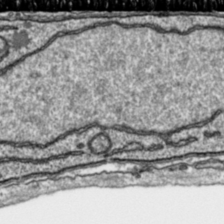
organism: Toxoplasma gondii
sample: Parasites in a vacuole inside a host cell